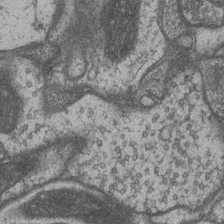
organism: Drosophila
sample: Optic medulla